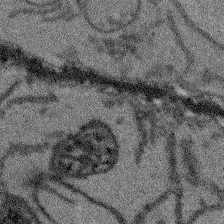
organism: Arabidopsis thaliana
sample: Root tip